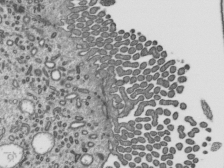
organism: Mouse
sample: Mouse epididymis efferent ductule cilia